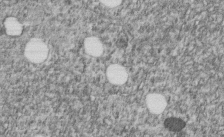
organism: C. elegans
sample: C. elegans embryo early stage